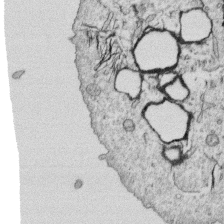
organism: Human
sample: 1205lu cells